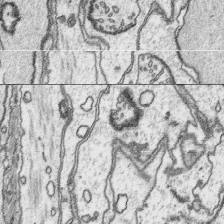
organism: Platynereis dumerilii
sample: Parapodia